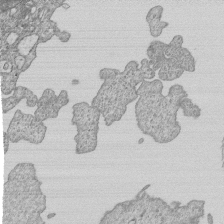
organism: Human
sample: MDA-MB-231 cells